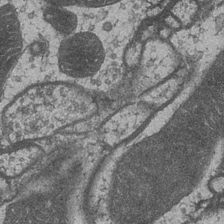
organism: Drosophila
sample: Optic medulla